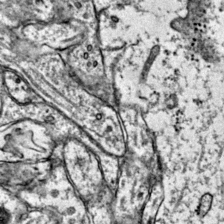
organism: Mouse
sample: Primary visual cortex